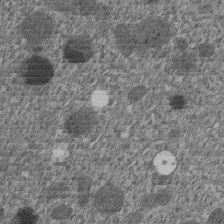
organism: C. elegans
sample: C. elegans embryo early stage